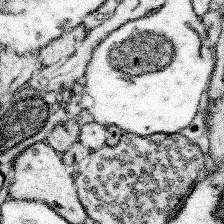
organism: Mouse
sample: Somatosensory cortex neuropil